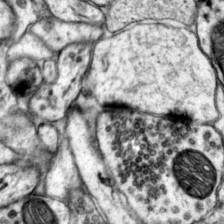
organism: Mouse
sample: Primary visual cortex